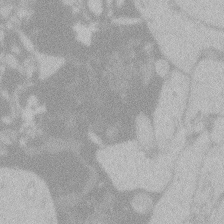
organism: Zebrafish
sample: Macrophage infected with Toxoplasma gondii